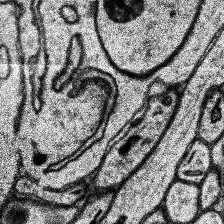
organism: Human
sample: Temporal Lobe